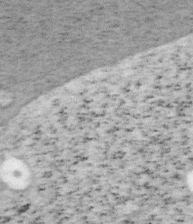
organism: Mouse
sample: OT-I killer T cells with ID8 ovarian cancer cells